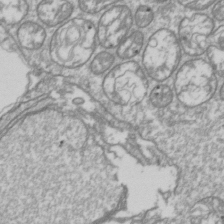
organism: Drosophila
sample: Cell division; meiosis; drosophila spermatocytes